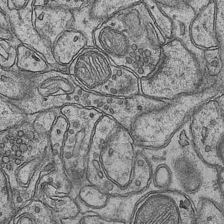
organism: Mouse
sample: CA1 Hippocampus